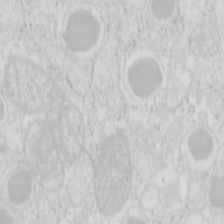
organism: Mouse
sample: Pancreas